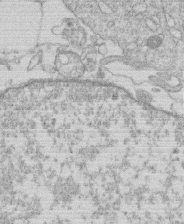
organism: Human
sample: Macrophage cells